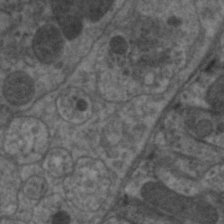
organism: C. elegans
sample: Pharynx